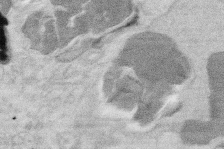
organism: Mouse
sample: T cell stromal cell synapse